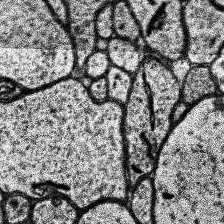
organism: Human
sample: Temporal Lobe